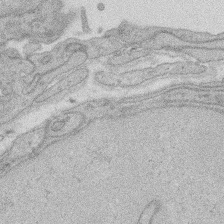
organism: Rat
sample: Salivary granule